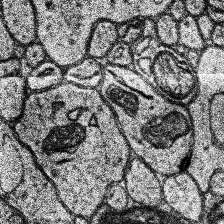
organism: Human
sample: Temporal Lobe